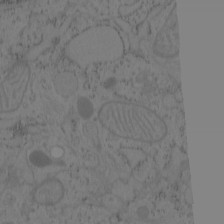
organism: Human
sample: HeLa cells